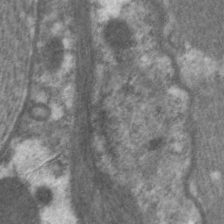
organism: C. elegans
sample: Pharynx